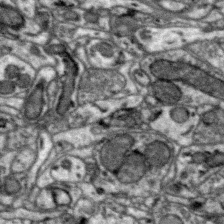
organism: Zebra finch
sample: Brain